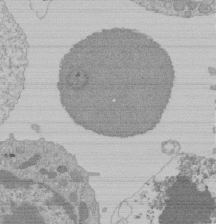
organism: Mouse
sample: Activated Pmel transgenic CD8+ T Cells